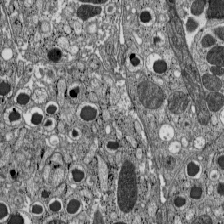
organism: C57BL Mouse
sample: Pancreatic islet